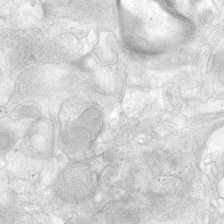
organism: Human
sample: Neocortex